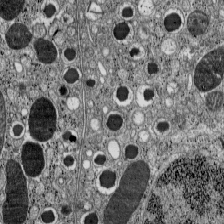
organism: C57BL Mouse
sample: Pancreatic islet